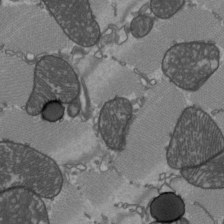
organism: C57BL Mouse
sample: Heart